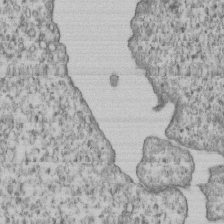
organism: Human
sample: MDA-MB-231 cells